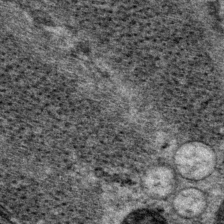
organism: P. pacificus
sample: Pharynx